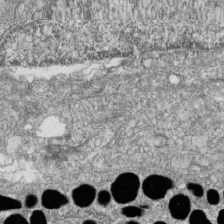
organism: Zebrafish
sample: Cilia; retinal pigment epithelium